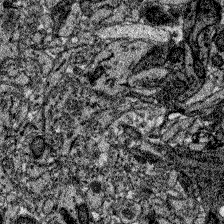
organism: Zebrafish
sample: Larval olfactory bulb